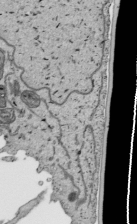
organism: Human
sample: Mitochondria in HCT116 cells